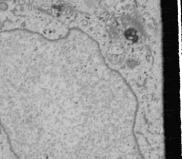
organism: Human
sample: Mitochondria in U2OS cells